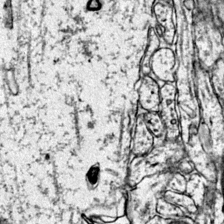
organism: Mouse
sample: Primary visual cortex